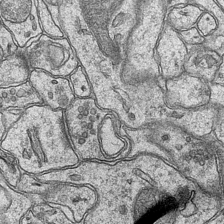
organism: Mouse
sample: CA1 Hippocampus